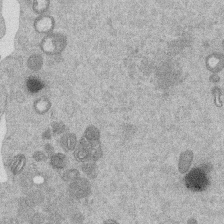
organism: Mouse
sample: Dividing mouse embryo 1 cell stage